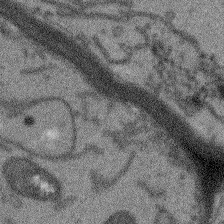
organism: Arabidopsis thaliana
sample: Root tip